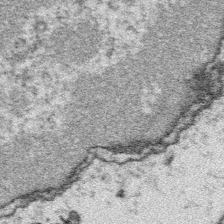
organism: Platynereis dumerilii